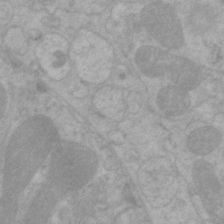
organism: C. elegans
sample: Pharynx